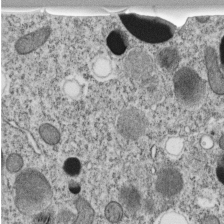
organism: C. elegans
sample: C. elegans embryo early stage